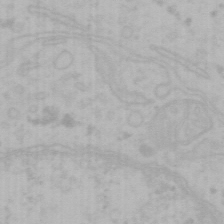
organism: Mouse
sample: Choroid plexus